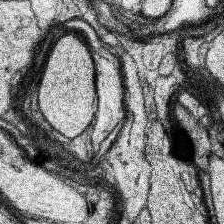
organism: Human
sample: Temporal Lobe